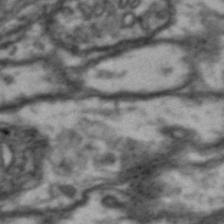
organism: Drosophila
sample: Brain